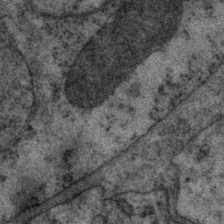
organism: P. pacificus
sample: Pharynx